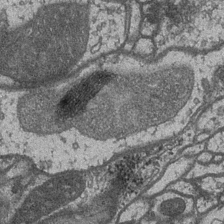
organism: Drosophila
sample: Optic medulla